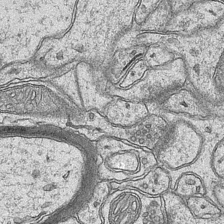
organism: Mouse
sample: CA1 Hippocampus